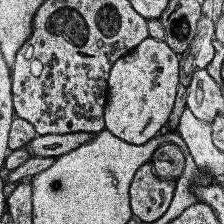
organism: Human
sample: Temporal Lobe